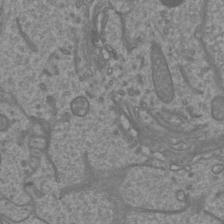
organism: Mouse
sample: Cortical neurons